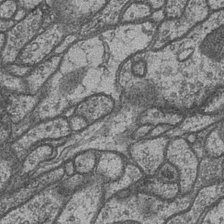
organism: Drosophila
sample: Optic medulla